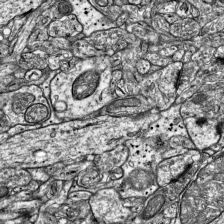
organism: Mouse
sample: Visual Cortex